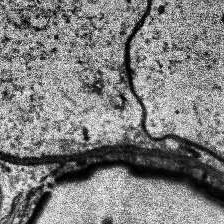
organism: Human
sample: Temporal Lobe